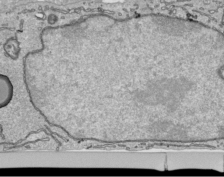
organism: Human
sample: Mitochondria in HCT116 cells